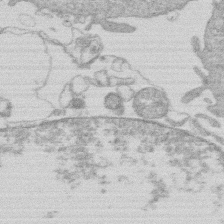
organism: Human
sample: Macrophage cells